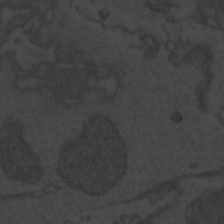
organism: Zebrafish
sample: Macrophage infected with Toxoplasma gondii